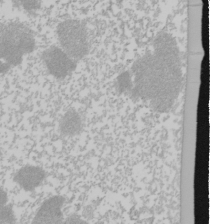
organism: Mouse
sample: Cancer cell death in ED-1 cells